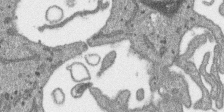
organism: Human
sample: Lung epithelial cells infected with SARS-CoV-2